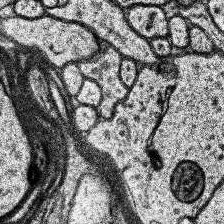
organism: Human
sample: Temporal Lobe